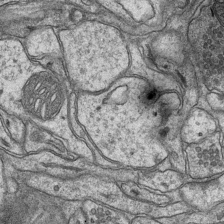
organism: Mouse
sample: CA1 Hippocampus